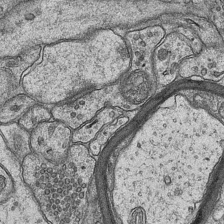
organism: Mouse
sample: CA1 Hippocampus